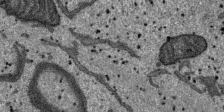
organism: Human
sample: Lung epithelial cells, uninfected (mock) control